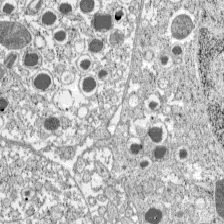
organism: C57BL Mouse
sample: Pancreatic islet